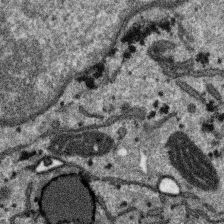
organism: Human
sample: Lung epithelial cells infected with SARS-CoV-2